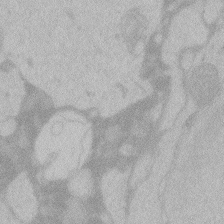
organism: Zebrafish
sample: Macrophage infected with Toxoplasma gondii